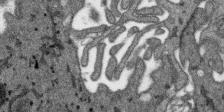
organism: Human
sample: Lung epithelial cells, uninfected (mock) control